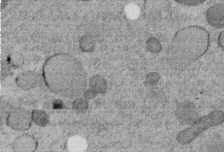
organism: C. elegans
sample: C. elegans embryo early stage